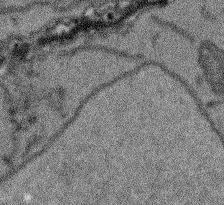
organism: Arabidopsis thaliana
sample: Root tip